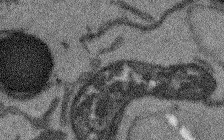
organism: Arabidopsis thaliana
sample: Root tip